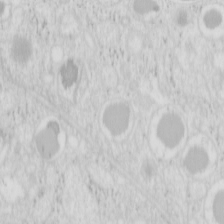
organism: Mouse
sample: Pancreas